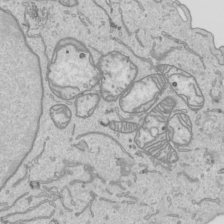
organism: Human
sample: Mitochondria in HCT116 cells